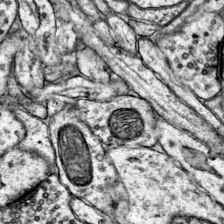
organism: Mouse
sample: Primary visual cortex